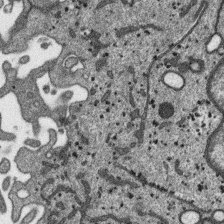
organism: Human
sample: Lung epithelial cells infected with SARS-CoV-2